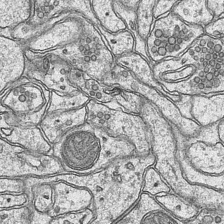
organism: Mouse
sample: CA1 Hippocampus